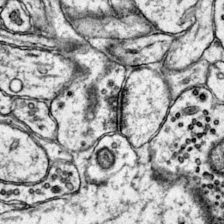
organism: Mouse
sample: Primary visual cortex